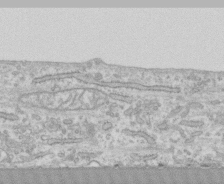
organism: Human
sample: CRL-1474